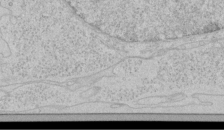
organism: Human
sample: Mitochondria in HCT116 cells